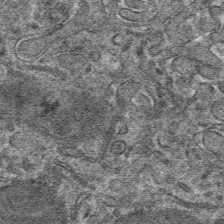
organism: Mouse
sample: Mouse hepatocytes